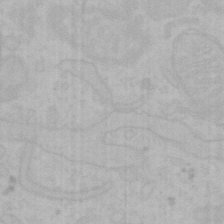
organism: Mouse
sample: Choroid plexus